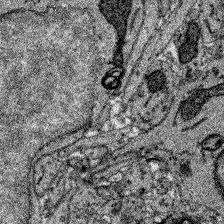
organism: Zebrafish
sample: Larval olfactory bulb